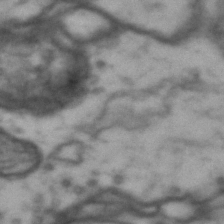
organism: Drosophila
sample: Brain